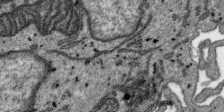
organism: Human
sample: Lung epithelial cells, uninfected (mock) control